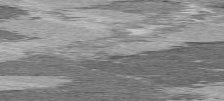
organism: C57BL Mouse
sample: Heart